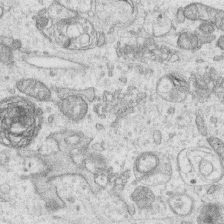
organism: Human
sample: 1205lu cells